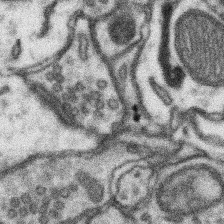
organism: Mouse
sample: Somatosensory cortex neuropil